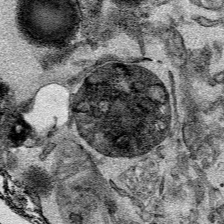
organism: Mouse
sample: Cancer cell death in ED-1 cells